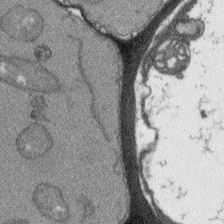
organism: Arabidopsis thaliana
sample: Root tip